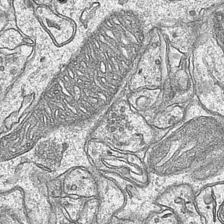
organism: Mouse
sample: CA1 Hippocampus